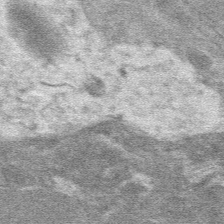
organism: Mouse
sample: Mouse hepatocytes